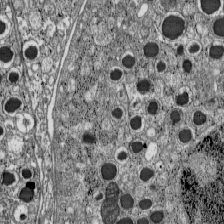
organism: C57BL Mouse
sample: Pancreatic islet